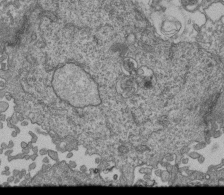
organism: Human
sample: Retinal organoid Rod and Cone cells